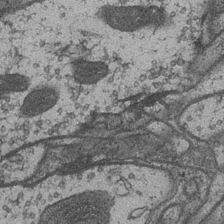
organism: Drosophila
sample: Optic medulla